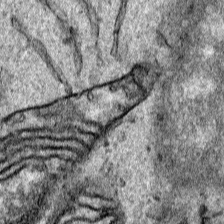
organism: Human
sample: Mitochondria in HCT116 cells